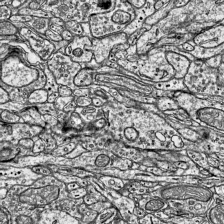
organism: Mouse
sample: Visual Cortex